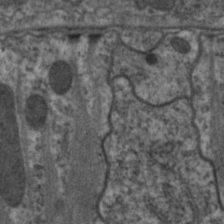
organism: C. elegans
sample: Pharynx